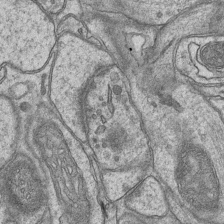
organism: Mouse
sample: CA1 Hippocampus